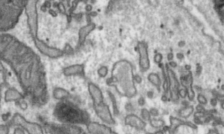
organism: Toxoplasma gondii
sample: Parasites in a vacuole inside a host cell